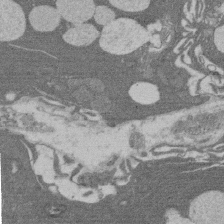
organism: Rat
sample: Salivary granule